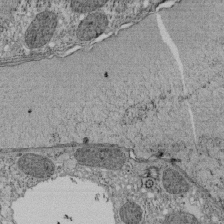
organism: Tetrahymena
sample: Cilia in tetrahymena